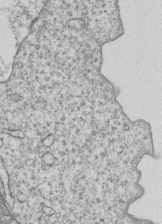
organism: Human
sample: MDA-MB-231 cells